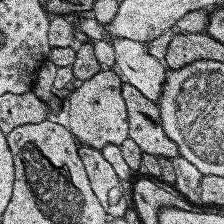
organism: Human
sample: Temporal Lobe